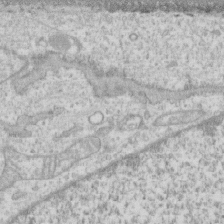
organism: Human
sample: CRL-1474